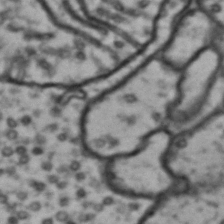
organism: Drosophila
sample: Brain